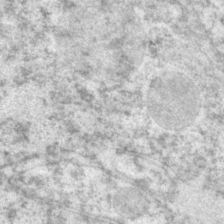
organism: P. pacificus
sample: Pharynx